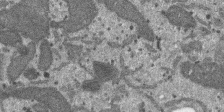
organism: Human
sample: Lung epithelial cells infected with SARS-CoV-2